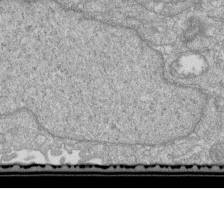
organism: Human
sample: HeLa cell HIV synapse